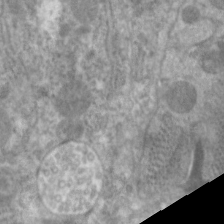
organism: C. elegans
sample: Pharynx